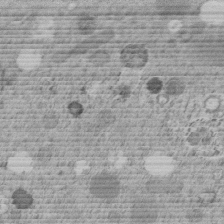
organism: C. elegans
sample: C. elegans embryo early stage